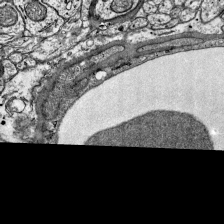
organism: Mouse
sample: Visual Cortex